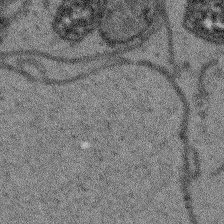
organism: Arabidopsis thaliana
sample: Root tip